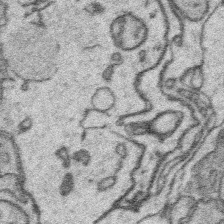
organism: Platynereis dumerilii